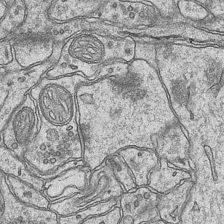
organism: Mouse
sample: CA1 Hippocampus